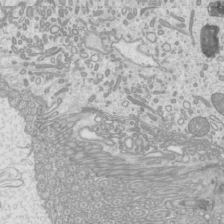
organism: Mouse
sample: Cilia; mouse epididymis